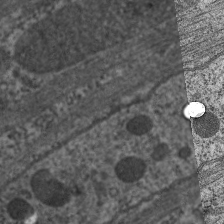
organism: C. elegans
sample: Pharynx